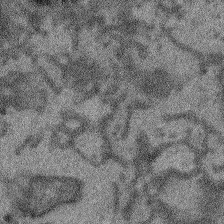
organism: Arabidopsis thaliana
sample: Root tip